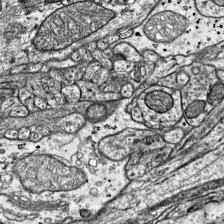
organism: Mouse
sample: Visual Cortex